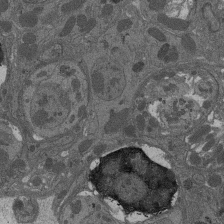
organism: Drosophila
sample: Antenna